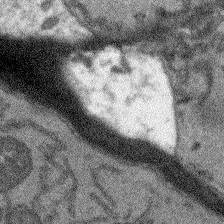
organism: Arabidopsis thaliana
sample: Root tip